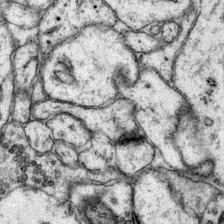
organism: Mouse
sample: Primary visual cortex